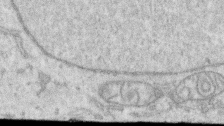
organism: Human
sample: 1205lu cells